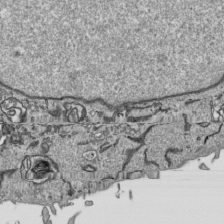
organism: Human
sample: Mitochondria in HCT116 cells